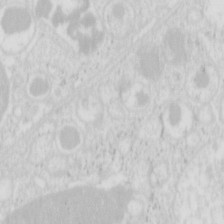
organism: Mouse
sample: Pancreas